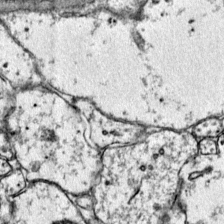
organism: Mouse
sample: Primary visual cortex